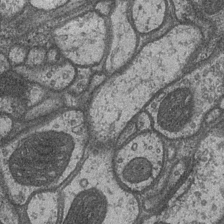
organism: Drosophila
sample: Optic medulla